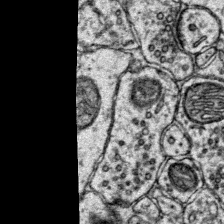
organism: Mouse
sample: Primary visual cortex